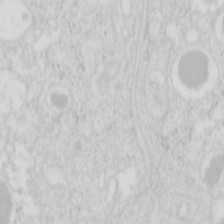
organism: Mouse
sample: Pancreas